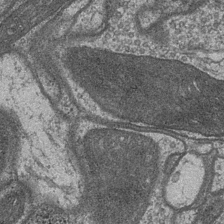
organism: Drosophila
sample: Optic medulla